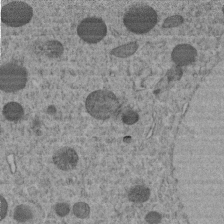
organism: C. elegans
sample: C. elegans embryo early stage